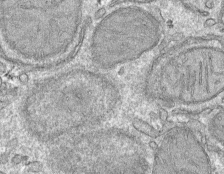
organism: Mouse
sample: Mouse hepatocytes